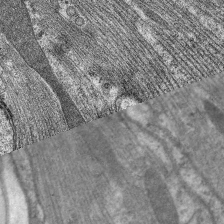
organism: C. elegans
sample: Pharynx